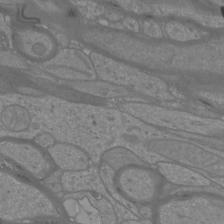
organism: Mouse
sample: Cortical neurons